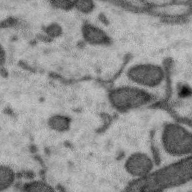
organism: Zebra finch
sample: Brain